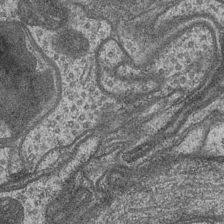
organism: Drosophila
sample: Optic medulla